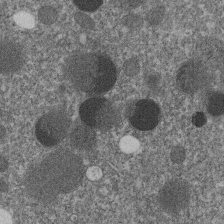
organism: C. elegans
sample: C. elegans embryo early stage